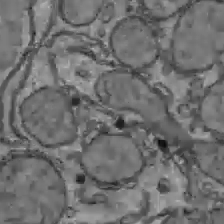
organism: C57BL Mouse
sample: Liver